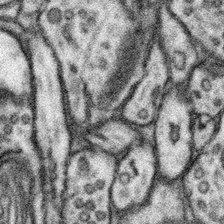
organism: Mouse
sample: Somatosensory cortex neuropil